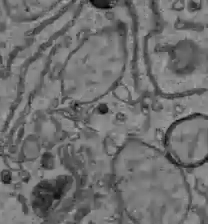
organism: C57BL Mouse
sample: Liver